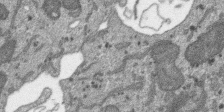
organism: Human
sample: Lung epithelial cells infected with SARS-CoV-2